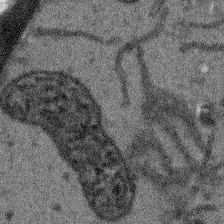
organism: Arabidopsis thaliana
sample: Root tip